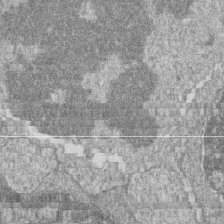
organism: Zebrafish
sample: Cilia; retinal pigment epithelium